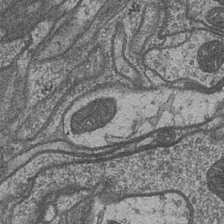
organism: Drosophila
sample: Optic medulla